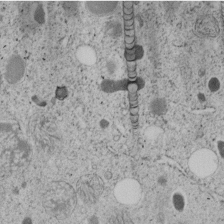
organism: C. elegans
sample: C. elegans embryo early stage